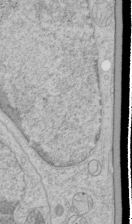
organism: Human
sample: Mitochondria in HCT116 cells